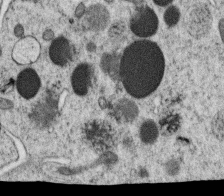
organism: C. elegans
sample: C. elegans oocyte; sperm cells